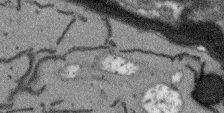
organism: Arabidopsis thaliana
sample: Root tip